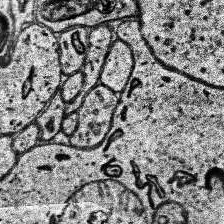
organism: Human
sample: Temporal Lobe